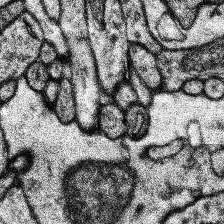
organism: Human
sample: Temporal Lobe